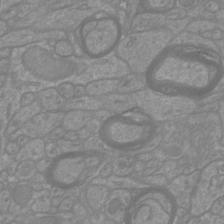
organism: Mouse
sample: Cortical neurons